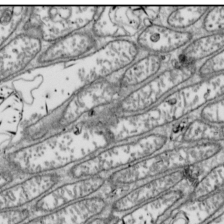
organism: Drosophila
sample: Cell division; meiosis; drosophila spermatocytes